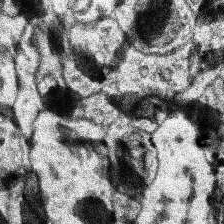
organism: Human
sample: Temporal Lobe